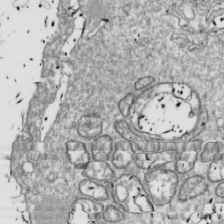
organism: Drosophila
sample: Cell division; meiosis; drosophila spermatocytes